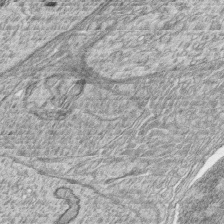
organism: Zebrafish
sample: synaptic ribbons in rod cells and cone cells